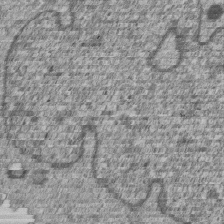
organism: Human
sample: MDA-MB-231 cells